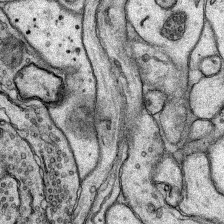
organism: Rat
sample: Hippocampus